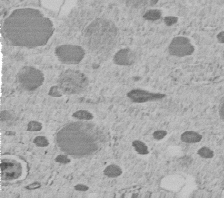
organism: C. elegans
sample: C. elegans embryo early stage